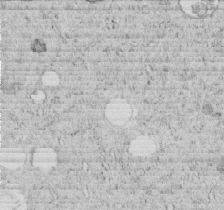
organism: C. elegans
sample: C. elegans embryo early stage